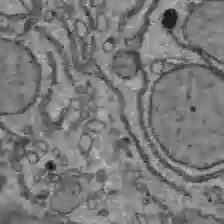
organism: C57BL Mouse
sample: Liver